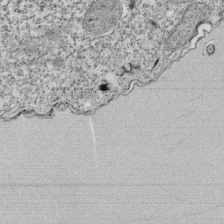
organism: Tetrahymena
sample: Cilia in tetrahymena